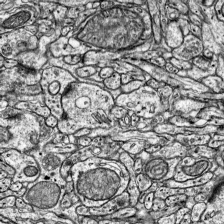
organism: Mouse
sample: Visual Cortex